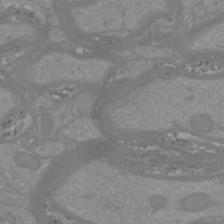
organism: Mouse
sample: Cortical neurons